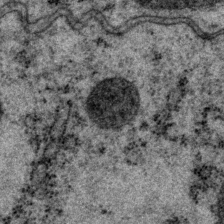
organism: P. pacificus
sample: Pharynx